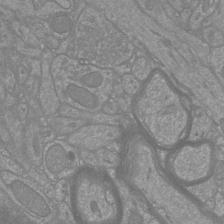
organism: Mouse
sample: Cortical neurons